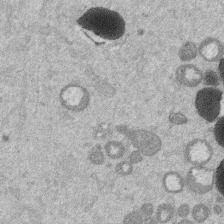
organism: Mouse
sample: Dividing mouse embryo 1 cell stage